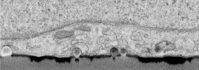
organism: Human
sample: Centriole in RPE cells